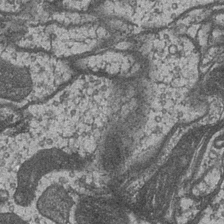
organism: Drosophila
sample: Optic medulla